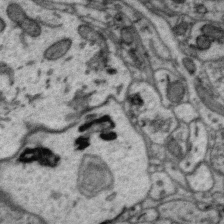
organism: Zebra finch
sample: Brain